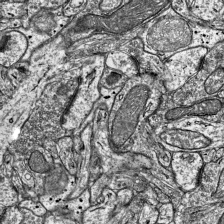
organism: Mouse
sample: Visual Cortex